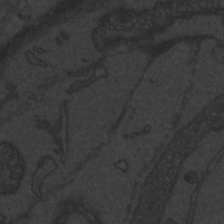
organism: Zebrafish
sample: Macrophage infected with Toxoplasma gondii